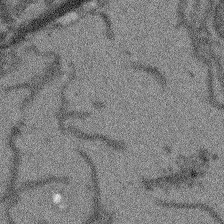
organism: Arabidopsis thaliana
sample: Root tip